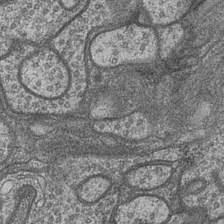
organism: Drosophila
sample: Optic medulla